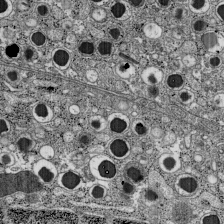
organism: C57BL Mouse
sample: Pancreatic islet